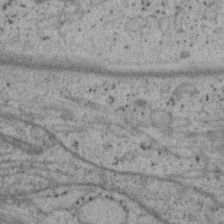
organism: Human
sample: HeLa cells